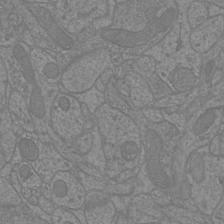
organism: Mouse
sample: Cortical neurons